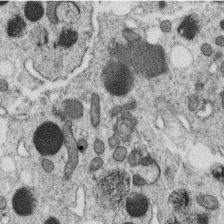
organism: C. elegans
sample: C. elegans oocyte; sperm cells